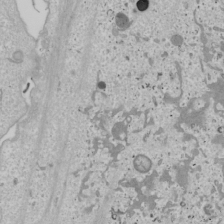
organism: Human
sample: Mitochondria in U2OS cells